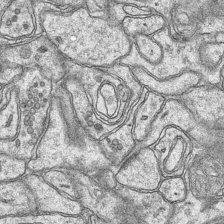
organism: Mouse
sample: CA1 Hippocampus